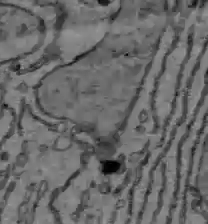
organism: C57BL Mouse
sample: Liver